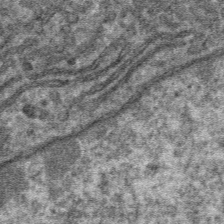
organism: Mouse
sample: Mouse hepatocytes